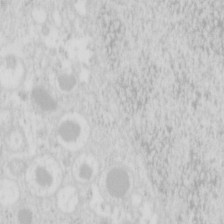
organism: Mouse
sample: Pancreas